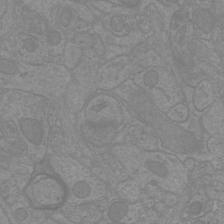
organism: Mouse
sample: Cortical neurons